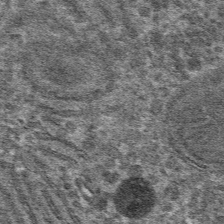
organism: Mouse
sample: Mouse hepatocytes